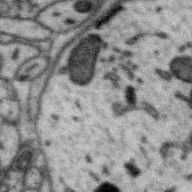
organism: Zebra finch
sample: Brain